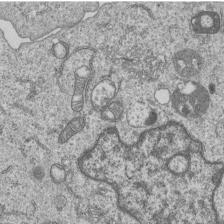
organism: Human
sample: MDA-MB-231 cells